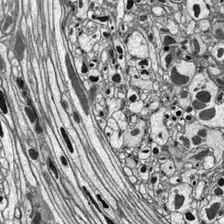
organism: Drosophila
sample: Optic lobe